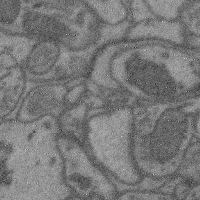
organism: Mouse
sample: Cerebral cortex